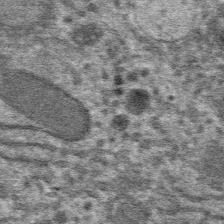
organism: Mouse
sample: Mouse hepatocytes